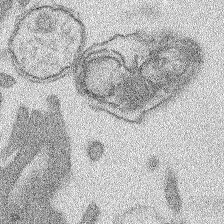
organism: Human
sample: HeLa cells